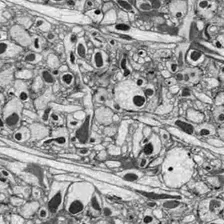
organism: Drosophila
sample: Optic lobe